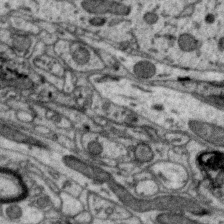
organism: Zebra finch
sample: Brain